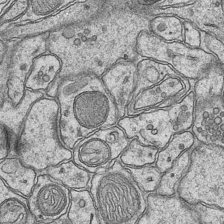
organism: Mouse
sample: CA1 Hippocampus